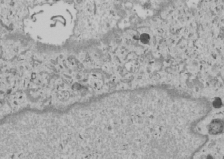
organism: Human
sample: Mitochondria in U2OS cells